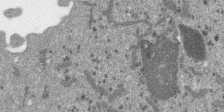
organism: Human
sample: Lung epithelial cells infected with SARS-CoV-2